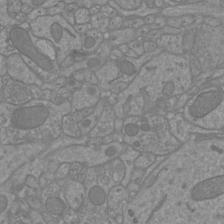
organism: Mouse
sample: Cortical neurons